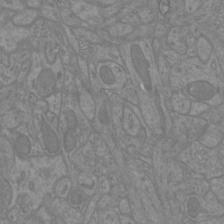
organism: Mouse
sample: Cortical neurons